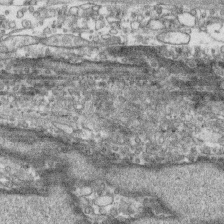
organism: Human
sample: CRL-1474